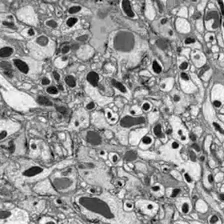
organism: Drosophila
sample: Optic lobe